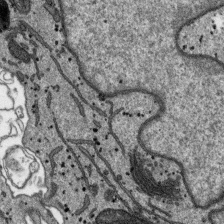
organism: Human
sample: Lung epithelial cells, uninfected (mock) control